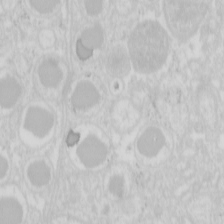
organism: Mouse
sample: Pancreas